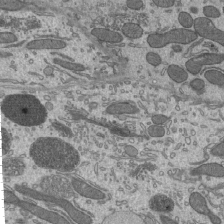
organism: Mouse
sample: Mouse epididymis efferent ductule cilia